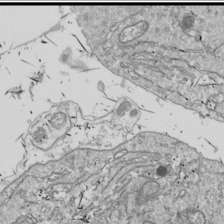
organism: Drosophila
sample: Cell division; meiosis; drosophila spermatocytes